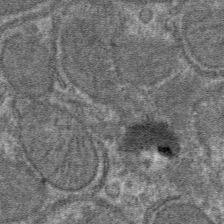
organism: Mouse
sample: Mouse hepatocytes